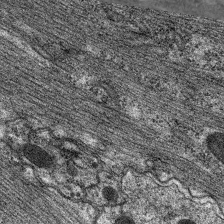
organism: C. elegans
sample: Pharynx